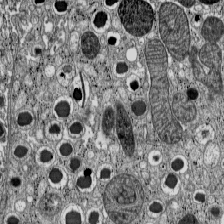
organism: C57BL Mouse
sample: Pancreatic islet